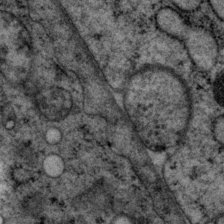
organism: P. pacificus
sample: Pharynx